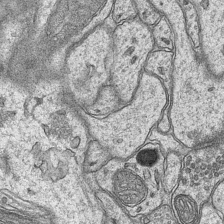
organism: Mouse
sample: CA1 Hippocampus